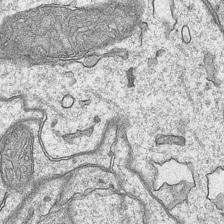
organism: Mouse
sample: CA1 Hippocampus